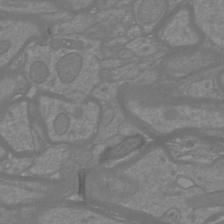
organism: Mouse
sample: Cortical neurons